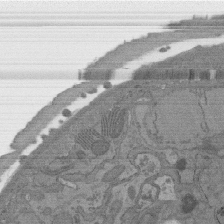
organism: C. elegans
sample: AFD neurons C. elegans